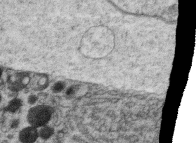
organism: C. elegans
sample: C. elegans oocyte; sperm cells